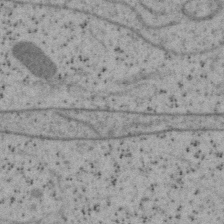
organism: Human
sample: HeLa cells